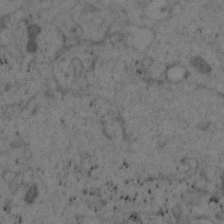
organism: Human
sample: HeLa cells